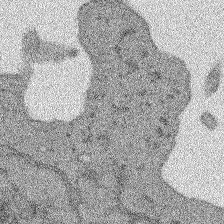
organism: Human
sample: HeLa cells